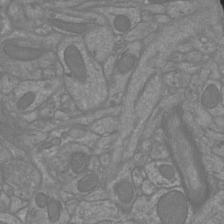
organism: Mouse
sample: Cortical neurons